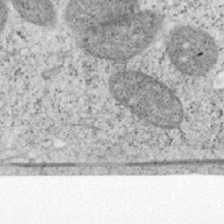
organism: Mouse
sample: OT-I killer T cells with ID8 ovarian cancer cells